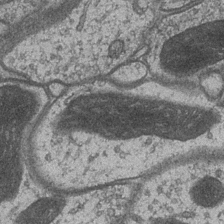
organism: Drosophila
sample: Optic medulla